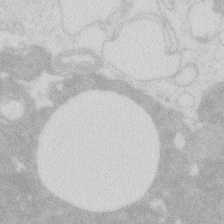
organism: Zebrafish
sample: Macrophage